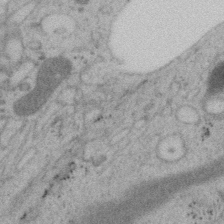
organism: Human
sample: HeLa cells